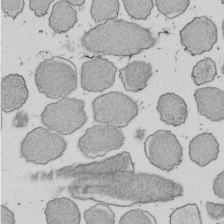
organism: E. coli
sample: Bacterial nucleoid